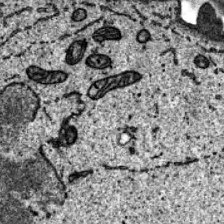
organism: Human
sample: HeLa cells